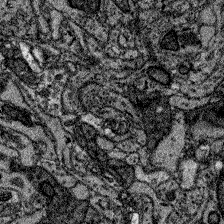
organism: Zebrafish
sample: Larval olfactory bulb